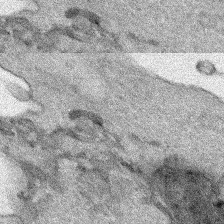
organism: Human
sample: Mitochondria in HCT116 cells